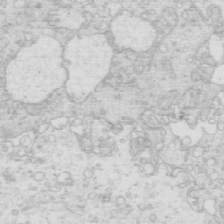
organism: Mouse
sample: Multiciliated cells